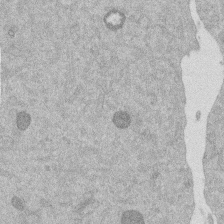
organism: Mouse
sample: Dividing mouse embryo 1 cell stage